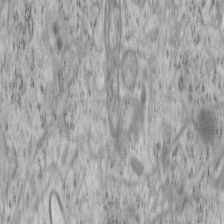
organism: Human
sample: HeLa cells